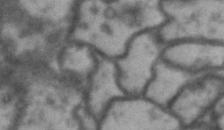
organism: Drosophila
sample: Brain